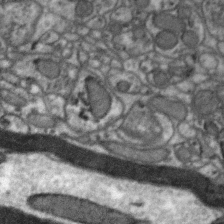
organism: Zebra finch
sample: Brain